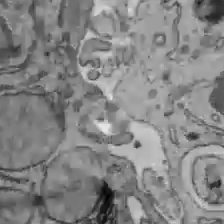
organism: C57BL Mouse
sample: Liver